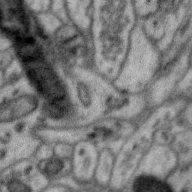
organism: Zebra finch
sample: Brain